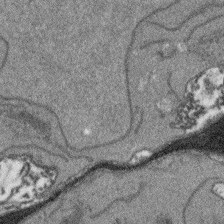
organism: Arabidopsis thaliana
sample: Root tip